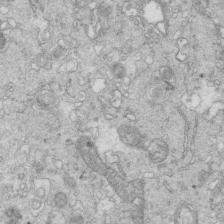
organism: Mouse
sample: Multiciliated cells